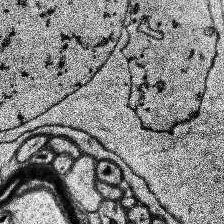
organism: Human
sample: Temporal Lobe